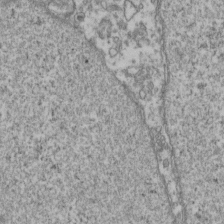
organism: Human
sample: Activated Jurkat CD4+ T cells